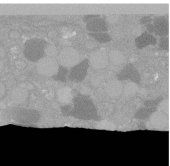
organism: C. elegans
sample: C. elegans oocyte; sperm cells